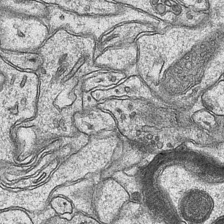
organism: Mouse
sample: CA1 Hippocampus